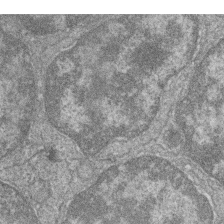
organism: Zebrafish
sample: Cilia; retinal pigment epithelium